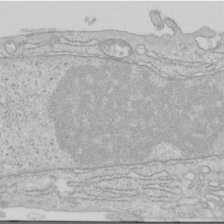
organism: Human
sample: Centriole in RPE cells